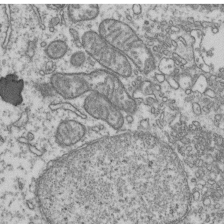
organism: Human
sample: Activated Jurkat CD4+ T cells